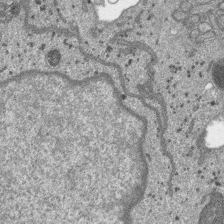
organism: Human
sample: Lung epithelial cells infected with SARS-CoV-2